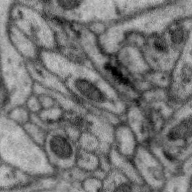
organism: Zebra finch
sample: Brain